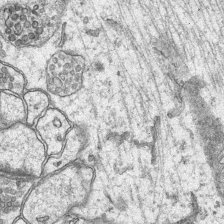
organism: Mouse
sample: CA1 Hippocampus